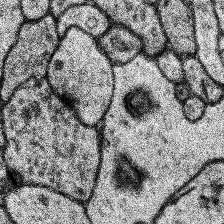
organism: Human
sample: Temporal Lobe